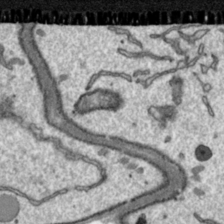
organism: Toxoplasma gondii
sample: Parasites in a vacuole inside a host cell